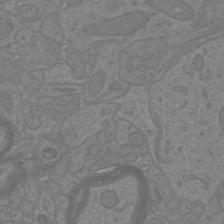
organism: Mouse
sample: Cortical neurons